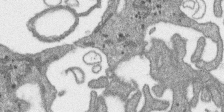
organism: Human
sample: Lung epithelial cells infected with SARS-CoV-2